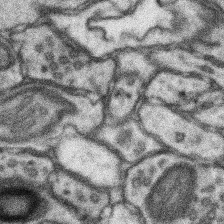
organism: Mouse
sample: Somatosensory cortex neuropil